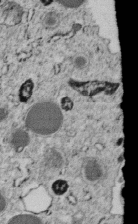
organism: C. elegans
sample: C. elegans embryo early stage